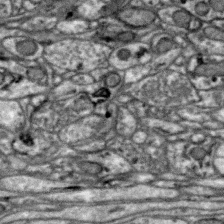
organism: Zebra finch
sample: Brain